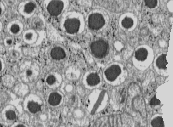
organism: C57BL Mouse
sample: Pancreatic islet